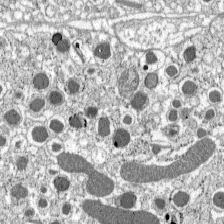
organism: C57BL Mouse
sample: Pancreatic islet